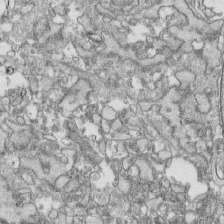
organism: Human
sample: CRL-1474